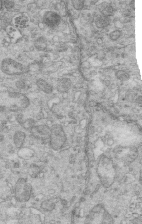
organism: Mouse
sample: Multiciliated cells